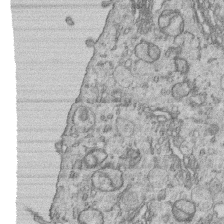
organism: Human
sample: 1205lu cells